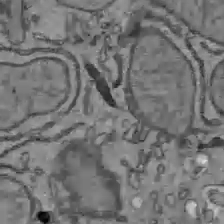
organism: C57BL Mouse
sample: Liver